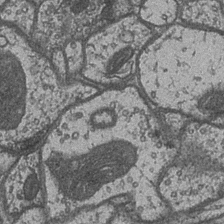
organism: Drosophila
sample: Optic medulla